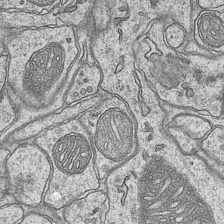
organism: Mouse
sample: CA1 Hippocampus